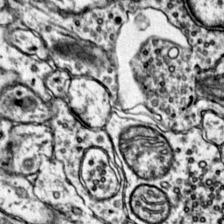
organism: Mouse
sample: Primary visual cortex